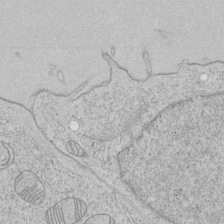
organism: Human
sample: Mitochondria in HCT116 cells